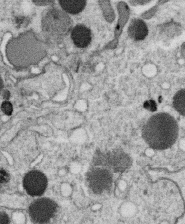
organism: C. elegans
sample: C. elegans oocyte; sperm cells